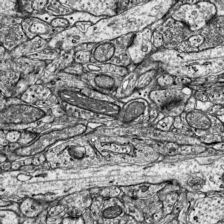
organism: Mouse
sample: Visual Cortex